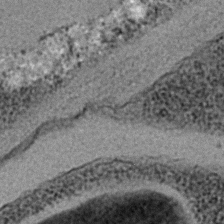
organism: C. elegans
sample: C. elegans embryo